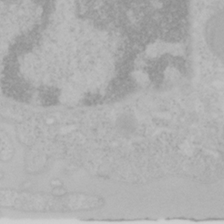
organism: Mouse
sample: OT-I killer T cells with ID8 ovarian cancer cells